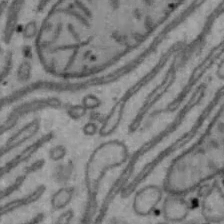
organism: Mouse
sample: Liver